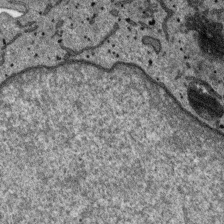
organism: Human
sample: Lung epithelial cells, uninfected (mock) control